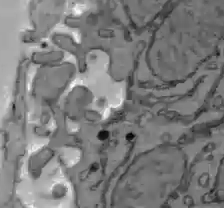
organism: C57BL Mouse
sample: Liver